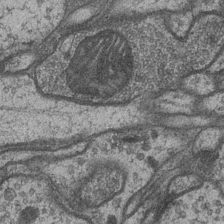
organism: Drosophila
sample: Optic medulla